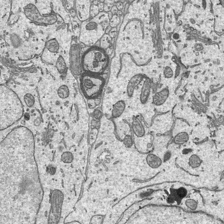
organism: Mouse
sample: Suprachiasmatic nucleus